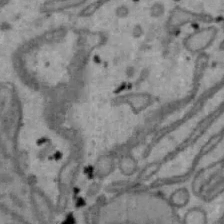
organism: Mouse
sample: Liver